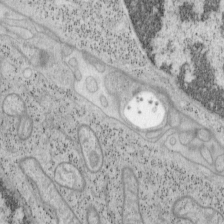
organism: Mouse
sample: OT-I killer T cells with ID8 ovarian cancer cells